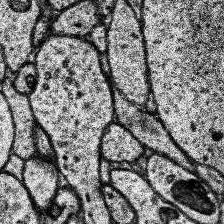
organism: Human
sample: Temporal Lobe